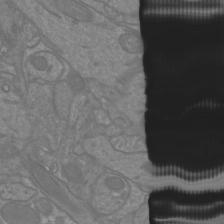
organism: Mouse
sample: Cortical neurons